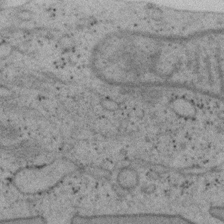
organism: Human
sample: HeLa cells